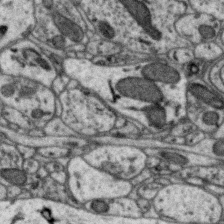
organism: Zebra finch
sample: Brain